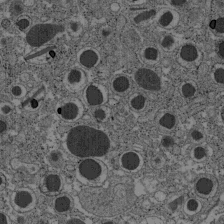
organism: C57BL Mouse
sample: Pancreatic islet